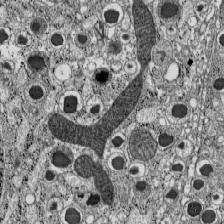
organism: C57BL Mouse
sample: Pancreatic islet